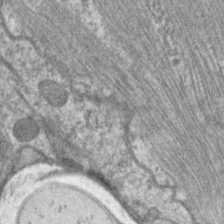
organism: C. elegans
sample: Pharynx